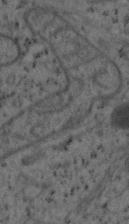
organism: Human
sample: HeLa cells